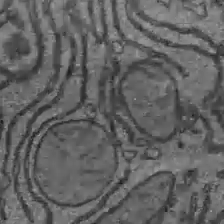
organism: C57BL Mouse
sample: Liver